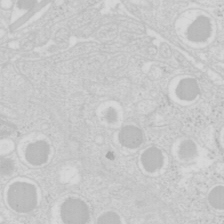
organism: Mouse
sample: Pancreas